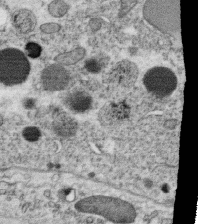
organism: C. elegans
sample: C. elegans oocyte; sperm cells